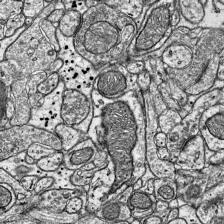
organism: Mouse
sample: Visual Cortex